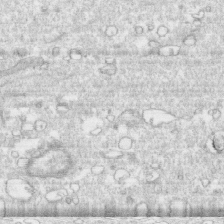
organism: Human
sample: CRL-1474